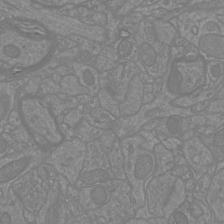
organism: Mouse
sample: Cortical neurons